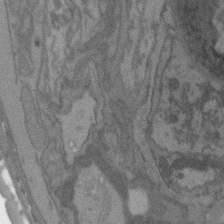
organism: C. elegans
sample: AFD neurons C. elegans